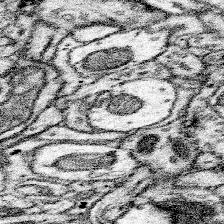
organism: Mouse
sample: Somatosensory cortex neuropil